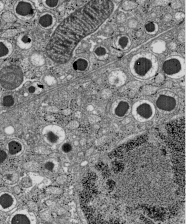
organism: C57BL Mouse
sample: Pancreatic islet